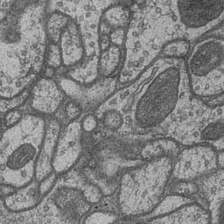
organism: Drosophila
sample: Optic medulla